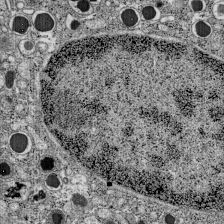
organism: C57BL Mouse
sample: Pancreatic islet